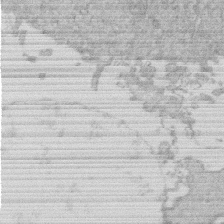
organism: Human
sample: Macrophage cells